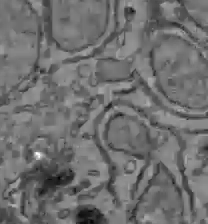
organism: C57BL Mouse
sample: Liver